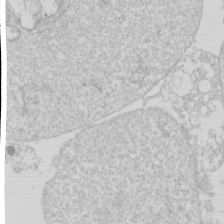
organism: Drosophila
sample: Cell division; meiosis; drosophila spermatocytes